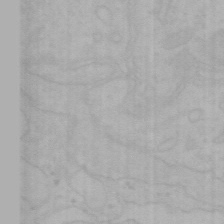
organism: Mouse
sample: Choroid plexus